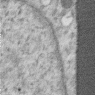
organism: Human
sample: Centriole in RPE cells